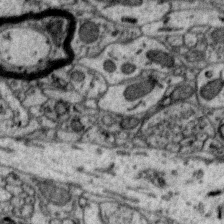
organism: Zebra finch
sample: Brain